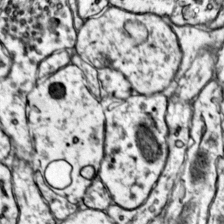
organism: Mouse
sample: Primary visual cortex